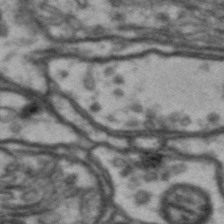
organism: Drosophila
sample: Brain